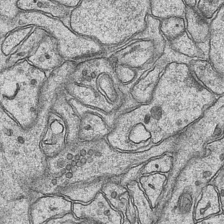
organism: Mouse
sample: CA1 Hippocampus